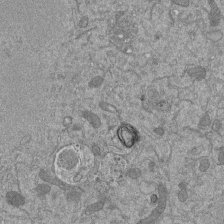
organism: Mouse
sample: ED-1 cell nuclei; centrioles